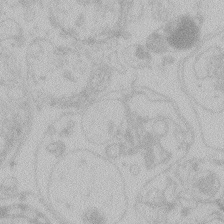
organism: Zebrafish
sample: Macrophage infected with Toxoplasma gondii